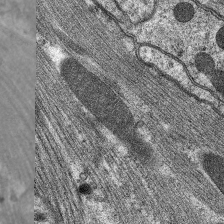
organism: C. elegans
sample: Pharynx